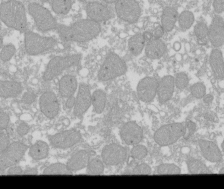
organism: Xenopus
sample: Cilia; centrioles in frog embryo cells